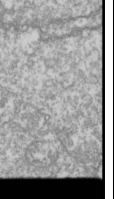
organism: Drosophila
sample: Cell division; meiosis; drosophila spermatocytes